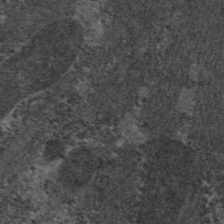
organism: C. elegans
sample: Pharynx